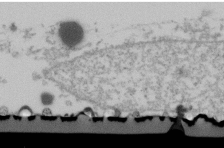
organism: Human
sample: U2-OS cells